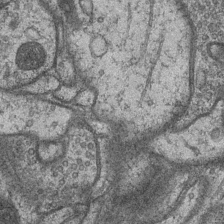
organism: Drosophila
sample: Optic medulla